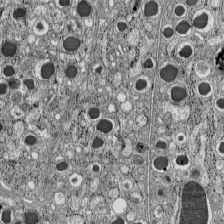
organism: C57BL Mouse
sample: Pancreatic islet